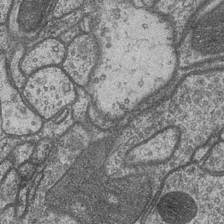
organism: Drosophila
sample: Optic medulla